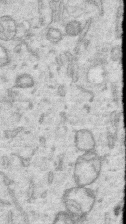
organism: Human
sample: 1205lu cells